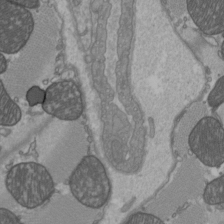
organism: C57BL Mouse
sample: Heart